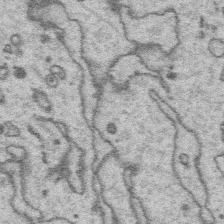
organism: Platynereis dumerilii